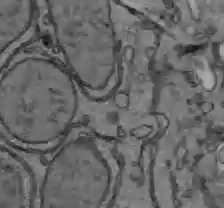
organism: C57BL Mouse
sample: Liver